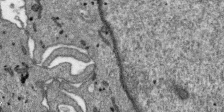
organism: Human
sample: Lung epithelial cells, uninfected (mock) control